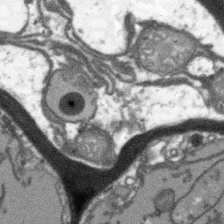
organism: Arabidopsis thaliana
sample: Root tip